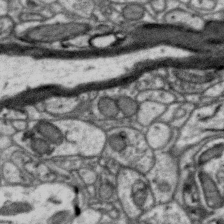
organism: Zebra finch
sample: Brain